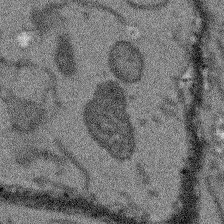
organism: Arabidopsis thaliana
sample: Root tip